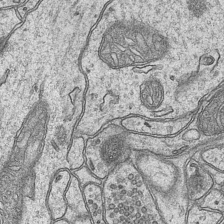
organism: Mouse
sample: CA1 Hippocampus